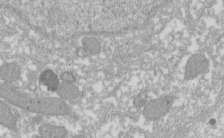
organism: Xenopus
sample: Cilia; centrioles in frog embryo cells